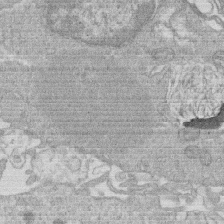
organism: Human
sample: Macrophage cells